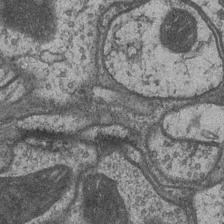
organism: Drosophila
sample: Optic medulla